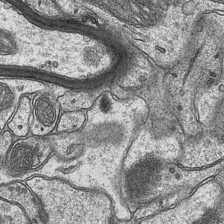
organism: Mouse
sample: CA1 Hippocampus